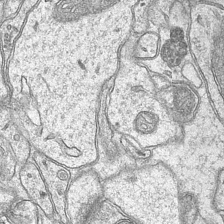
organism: Mouse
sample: CA1 Hippocampus